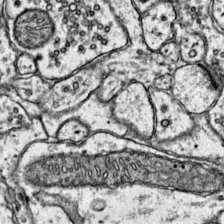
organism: Mouse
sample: Primary visual cortex